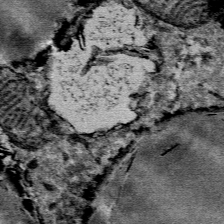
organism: Mouse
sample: Mouse Salivary gland